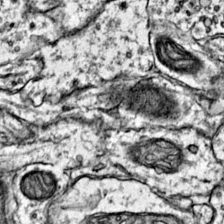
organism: Mouse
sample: Primary visual cortex